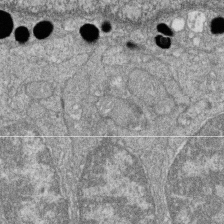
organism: Zebrafish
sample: Cilia; retinal pigment epithelium